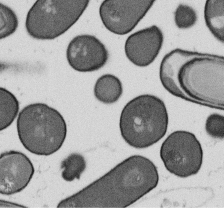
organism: B. subtilis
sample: Bacterial spore